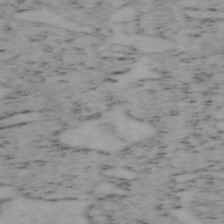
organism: Mouse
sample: OT-I killer T cells with ID8 ovarian cancer cells